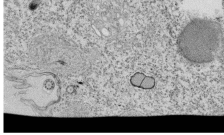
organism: Tetrahymena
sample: Cilia in tetrahymena